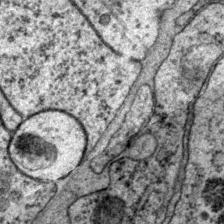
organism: P. pacificus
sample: Pharynx